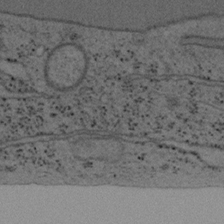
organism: Human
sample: HeLa cells